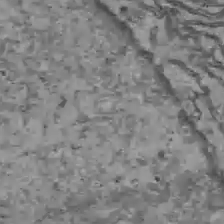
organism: C57BL Mouse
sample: Liver